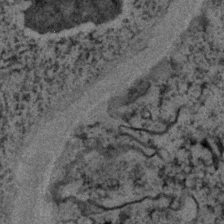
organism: C. elegans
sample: C. elegans embryo